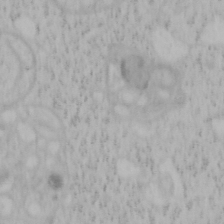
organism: Mouse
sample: OT-I killer T cells with ID8 ovarian cancer cells